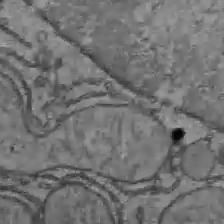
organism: C57BL Mouse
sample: Liver